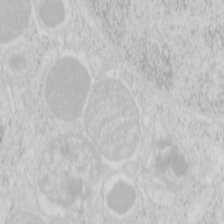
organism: Mouse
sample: Pancreas